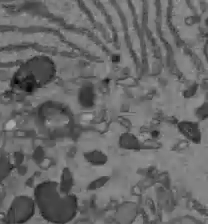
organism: C57BL Mouse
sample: Liver